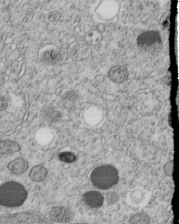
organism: C. elegans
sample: C. elegans embryo early stage